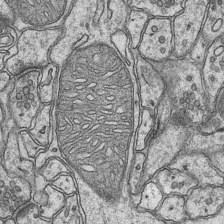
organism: Mouse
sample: CA1 Hippocampus